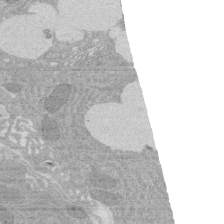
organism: Rat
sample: Salivary granule